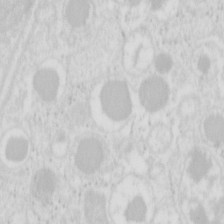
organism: Mouse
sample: Pancreas